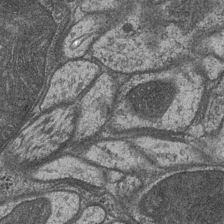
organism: Drosophila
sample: Optic medulla